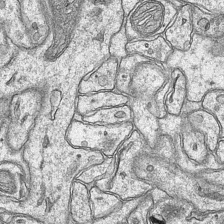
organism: Mouse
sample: CA1 Hippocampus